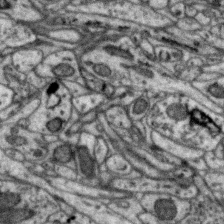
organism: Zebra finch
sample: Brain